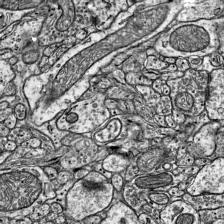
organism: Mouse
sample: Visual Cortex